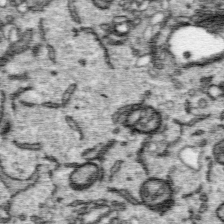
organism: Human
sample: HeLa cells